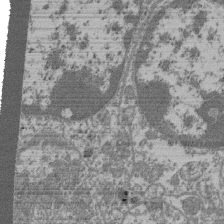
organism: Mouse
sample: Glomerulus